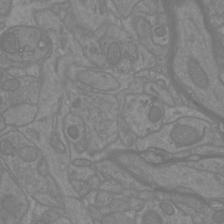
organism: Mouse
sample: Cortical neurons